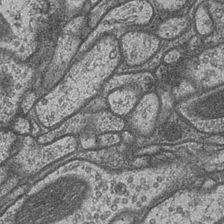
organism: Drosophila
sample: Optic medulla